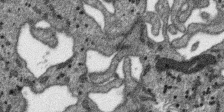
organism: Human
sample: Lung epithelial cells infected with SARS-CoV-2